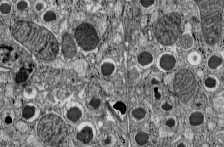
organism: C57BL Mouse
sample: Pancreatic islet